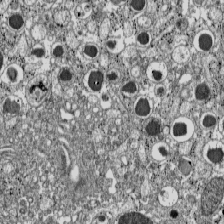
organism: C57BL Mouse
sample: Pancreatic islet